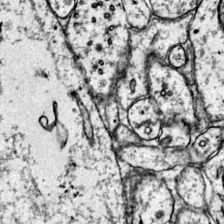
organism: Mouse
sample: Primary visual cortex